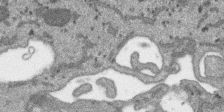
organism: Human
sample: Lung epithelial cells infected with SARS-CoV-2